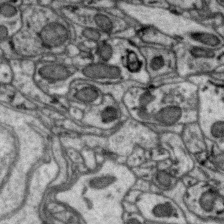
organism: Zebra finch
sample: Brain